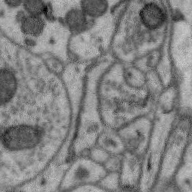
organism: Zebra finch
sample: Brain